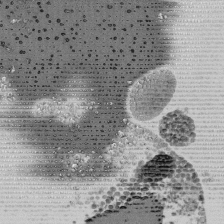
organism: Mouse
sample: Activated Pmel transgenic CD8+ T Cells